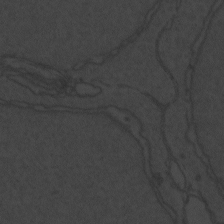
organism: Zebrafish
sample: Macrophage infected with Toxoplasma gondii